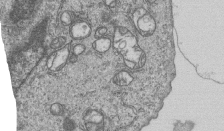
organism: Human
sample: MDA-MB-231 cells